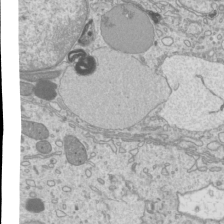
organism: Mouse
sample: Cilia; mouse epididymis